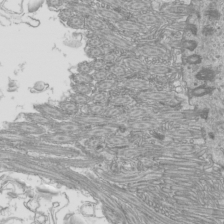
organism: Mouse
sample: Cilia; mouse epididymis